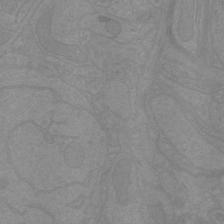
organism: Mouse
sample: Cortical neurons